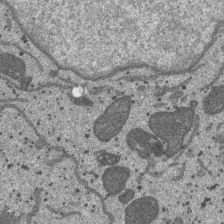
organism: Human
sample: Lung epithelial cells infected with SARS-CoV-2